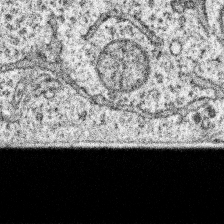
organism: Human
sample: HeLa cells